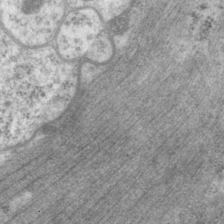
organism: P. pacificus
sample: Pharynx